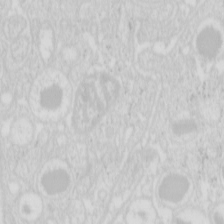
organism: Mouse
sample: Pancreas